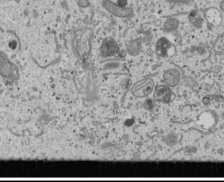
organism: Human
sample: Mitochondria in U2OS cells